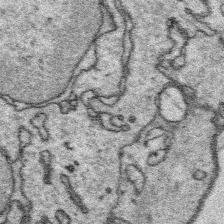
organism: Platynereis dumerilii